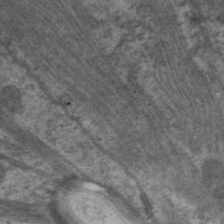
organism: C. elegans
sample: Pharynx